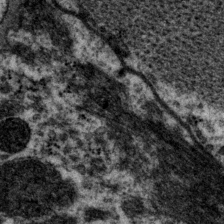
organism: P. pacificus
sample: Pharynx